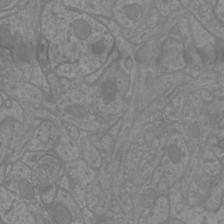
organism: Mouse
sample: Cortical neurons